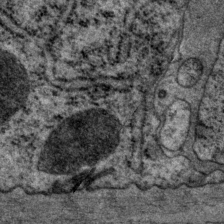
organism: P. pacificus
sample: Pharynx